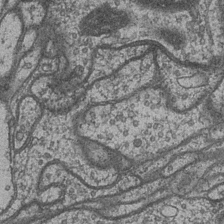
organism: Drosophila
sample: Optic medulla